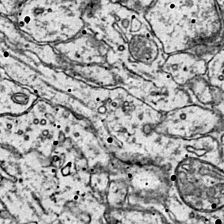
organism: Mouse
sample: Primary visual cortex